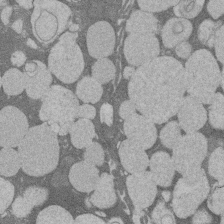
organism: Rat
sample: Salivary granule